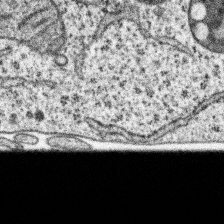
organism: Human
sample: HeLa cells